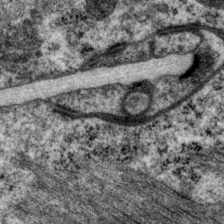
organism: P. pacificus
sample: Pharynx